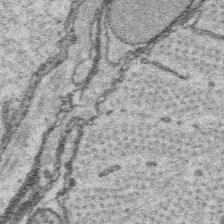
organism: Platynereis dumerilii